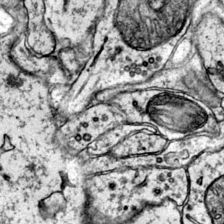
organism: Mouse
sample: Primary visual cortex